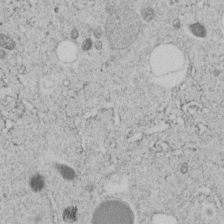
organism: C. elegans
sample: C. elegans embryo early stage